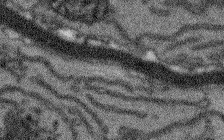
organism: Arabidopsis thaliana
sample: Root tip